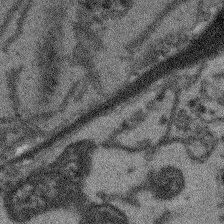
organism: Arabidopsis thaliana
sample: Root tip